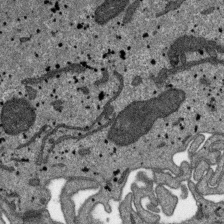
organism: Human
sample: Lung epithelial cells, uninfected (mock) control